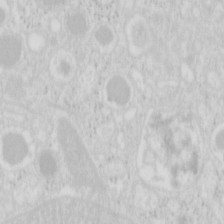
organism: Mouse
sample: Pancreas